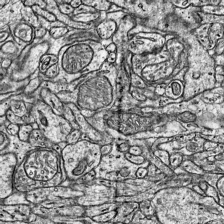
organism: Mouse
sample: Visual Cortex